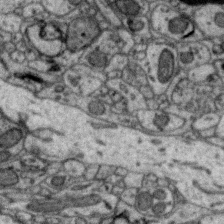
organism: Zebra finch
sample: Brain